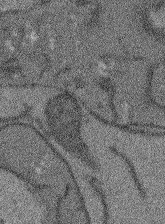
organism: Arabidopsis thaliana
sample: Root tip